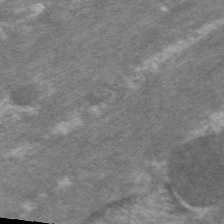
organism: C. elegans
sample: Pharynx